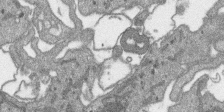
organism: Human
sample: Lung epithelial cells infected with SARS-CoV-2